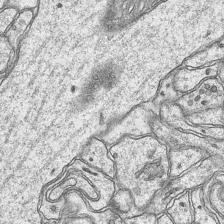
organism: Mouse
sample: CA1 Hippocampus